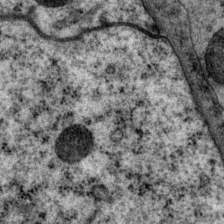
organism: P. pacificus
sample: Pharynx